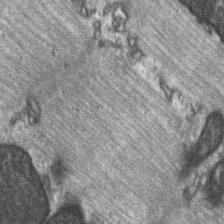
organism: C57BL Mouse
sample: Soleus